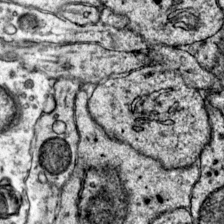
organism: Mouse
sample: Primary visual cortex